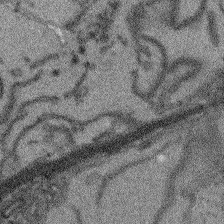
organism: Arabidopsis thaliana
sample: Root tip